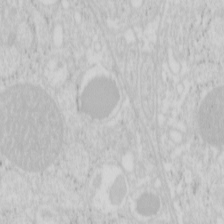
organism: Mouse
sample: Pancreas